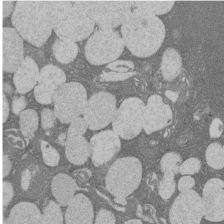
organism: Rat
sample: Salivary granule